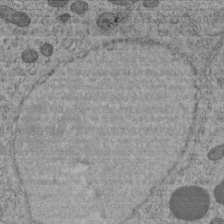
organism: C. elegans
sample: C. elegans embryo early stage